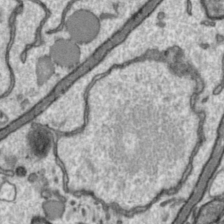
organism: Toxoplasma gondii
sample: Parasites in a vacuole inside a host cell